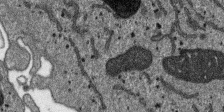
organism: Human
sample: Lung epithelial cells infected with SARS-CoV-2